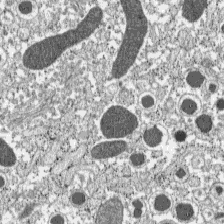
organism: C57BL Mouse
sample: Pancreatic islet